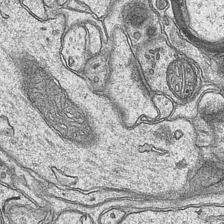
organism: Mouse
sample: CA1 Hippocampus